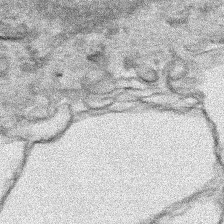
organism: Human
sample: Mitochondria in HCT116 cells